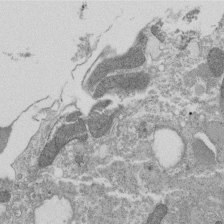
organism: Tetrahymena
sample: Cilia in tetrahymena